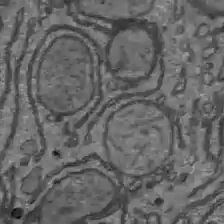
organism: C57BL Mouse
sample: Liver